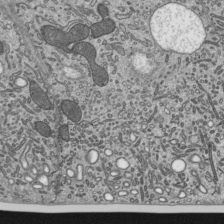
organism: Mouse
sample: Mouse epididymis efferent ductule cilia